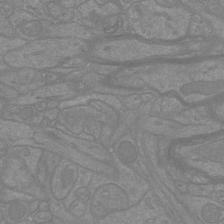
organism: Mouse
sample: Cortical neurons